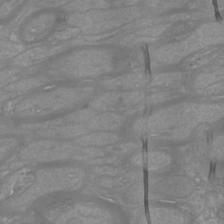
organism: Mouse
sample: Cortical neurons